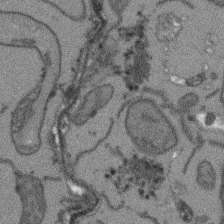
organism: Arabidopsis thaliana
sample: Root tip